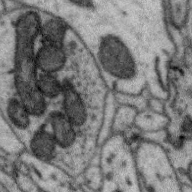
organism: Zebra finch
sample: Brain